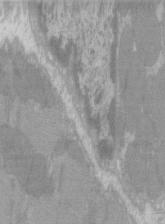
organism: C57BL Mouse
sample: Tibialis anterior muscle cell